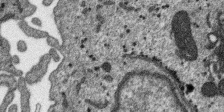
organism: Human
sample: Lung epithelial cells infected with SARS-CoV-2